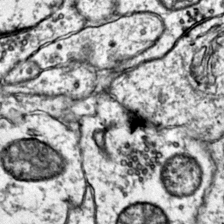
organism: Mouse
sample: Primary visual cortex